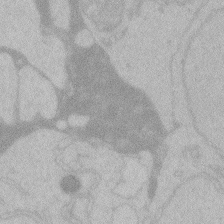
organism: Zebrafish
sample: Macrophage infected with Toxoplasma gondii